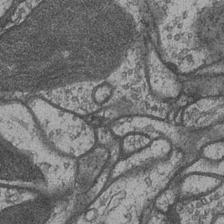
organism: Drosophila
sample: Optic medulla